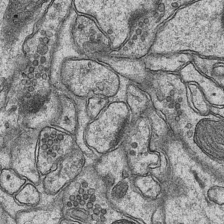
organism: Mouse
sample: CA1 Hippocampus